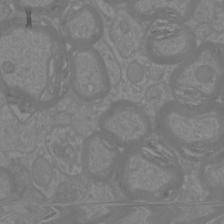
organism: Mouse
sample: Cortical neurons